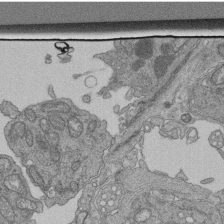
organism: Human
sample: Retinal organoid Rod and Cone cells